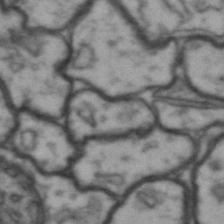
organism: Drosophila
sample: Brain